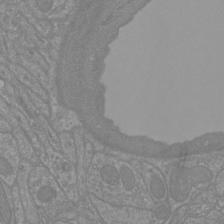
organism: Mouse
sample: Cortical neurons